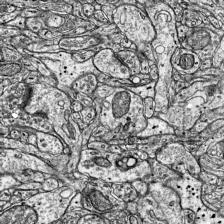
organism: Mouse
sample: Visual Cortex